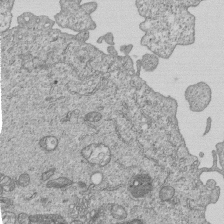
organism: Human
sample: MDA-MB-231 cells